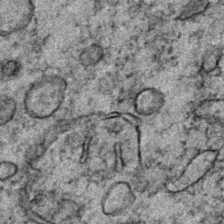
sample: Trachea